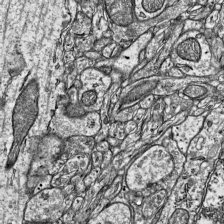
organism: Mouse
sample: Visual Cortex